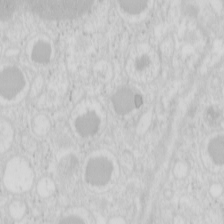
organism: Mouse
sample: Pancreas